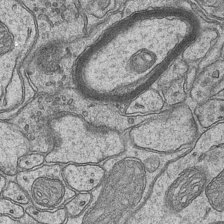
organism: Mouse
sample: CA1 Hippocampus